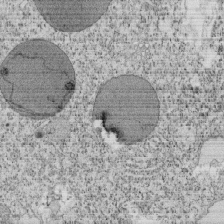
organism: Tetrahymena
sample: Cilia in tetrahymena